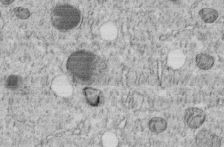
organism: C. elegans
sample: C. elegans embryo early stage